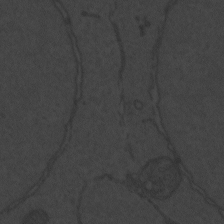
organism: Zebrafish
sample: Macrophage infected with Toxoplasma gondii